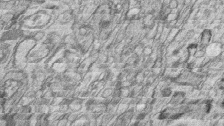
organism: Zebrafish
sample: synaptic ribbons in rod cells and cone cells